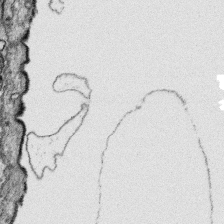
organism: Platynereis dumerilii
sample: Parapodia